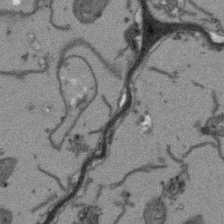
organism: Arabidopsis thaliana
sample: Root tip